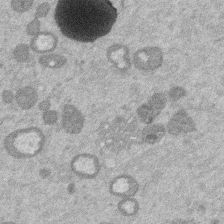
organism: Mouse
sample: Dividing mouse embryo 1 cell stage